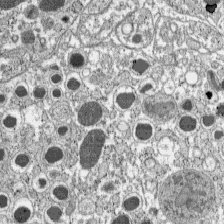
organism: C57BL Mouse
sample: Pancreatic islet